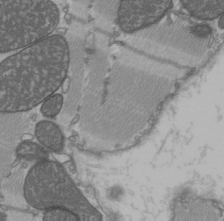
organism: C57BL Mouse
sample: Heart